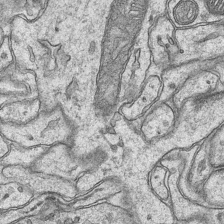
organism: Mouse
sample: CA1 Hippocampus